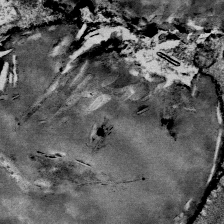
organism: Mouse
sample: Mouse Salivary gland